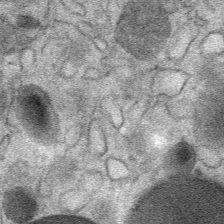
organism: Mouse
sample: Mouse Salivary gland